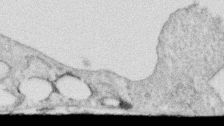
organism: Human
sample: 1205lu cells